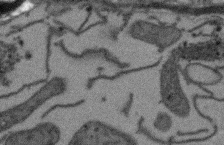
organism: Arabidopsis thaliana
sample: Root tip